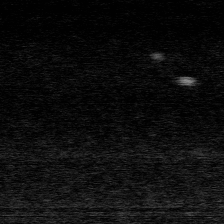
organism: Human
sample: HeLa cells